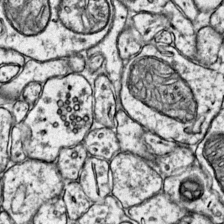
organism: Mouse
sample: Primary visual cortex